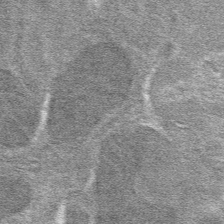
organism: Mouse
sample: Mouse hepatocytes